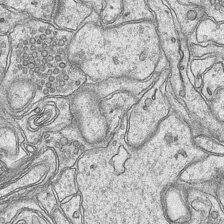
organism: Mouse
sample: CA1 Hippocampus